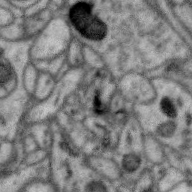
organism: Zebra finch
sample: Brain